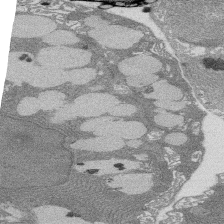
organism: Rat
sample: Salivary granule